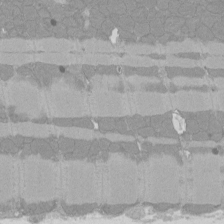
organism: Rat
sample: Left ventricle